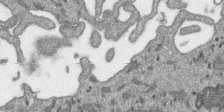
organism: Human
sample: Lung epithelial cells infected with SARS-CoV-2